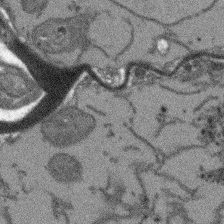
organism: Arabidopsis thaliana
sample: Root tip